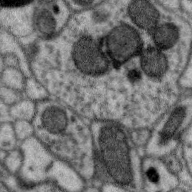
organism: Zebra finch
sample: Brain